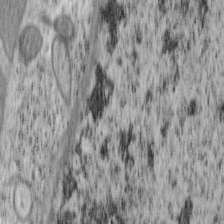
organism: Human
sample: HeLa cells